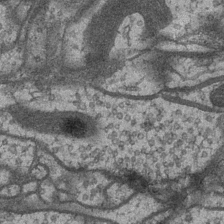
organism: Drosophila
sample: Optic medulla